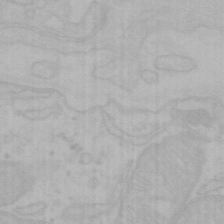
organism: Mouse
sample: Choroid plexus